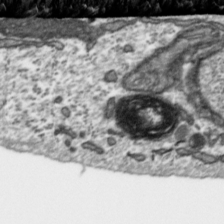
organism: Toxoplasma gondii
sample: Parasites in a vacuole inside a host cell